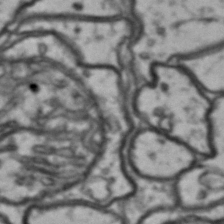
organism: Drosophila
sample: Brain